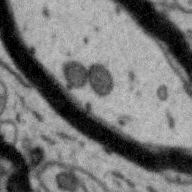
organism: Zebra finch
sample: Brain